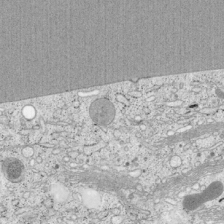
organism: African green monkey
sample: COS-7 cells